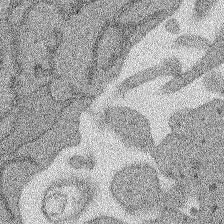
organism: Human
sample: HeLa cells